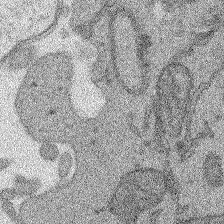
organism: Human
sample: HeLa cells